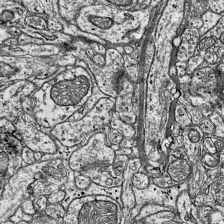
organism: Mouse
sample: Visual Cortex